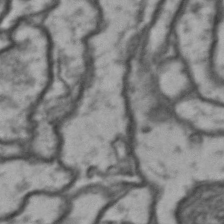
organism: Drosophila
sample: Brain